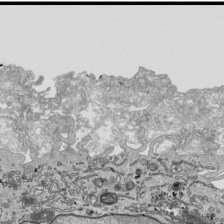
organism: Human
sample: Mitochondria in HCT116 cells